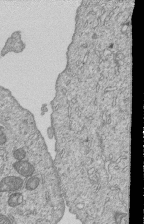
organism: Human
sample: MDA-MB-231 cells